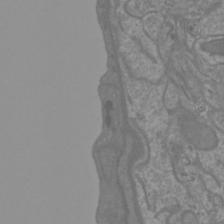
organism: Mouse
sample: Cortical neurons